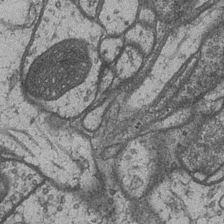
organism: Drosophila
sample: Optic medulla